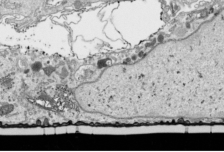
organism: Human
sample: Mitochondria in HCT116 cells